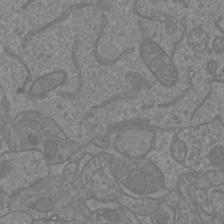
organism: Mouse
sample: Cortical neurons